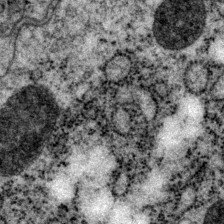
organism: P. pacificus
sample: Pharynx